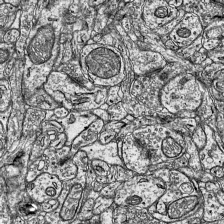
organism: Mouse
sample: Visual Cortex